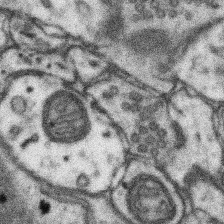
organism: Mouse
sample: Somatosensory cortex neuropil